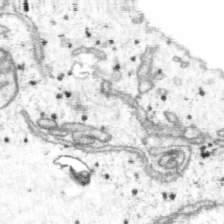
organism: Human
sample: HeLa cells